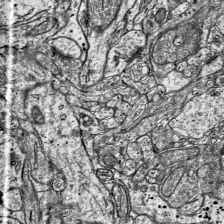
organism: Mouse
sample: Visual Cortex